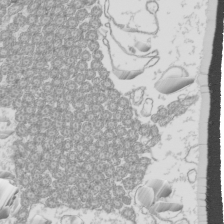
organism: Mouse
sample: Cilia; mouse epididymis